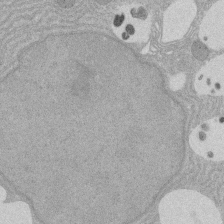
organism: Rat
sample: Salivary granule